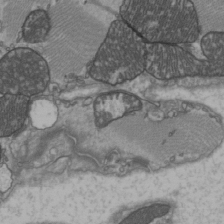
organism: C57BL Mouse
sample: Heart